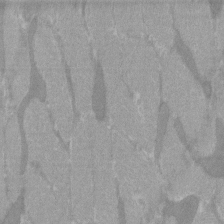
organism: C57BL Mouse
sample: Tibialis anterior muscle cell